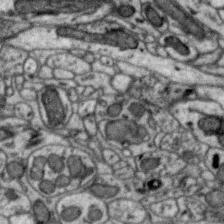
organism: Zebra finch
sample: Brain